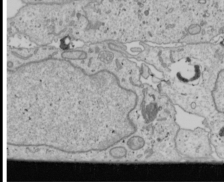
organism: Human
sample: Mitochondria in U2OS cells